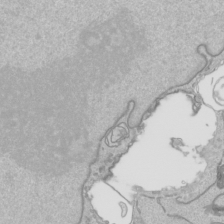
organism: Human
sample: Mitochondria in HCT116 cells